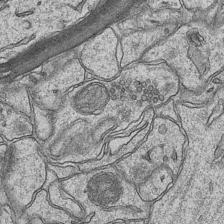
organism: Mouse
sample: CA1 Hippocampus